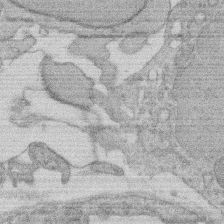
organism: Rat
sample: Salivary granule